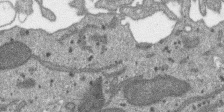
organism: Human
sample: Lung epithelial cells infected with SARS-CoV-2